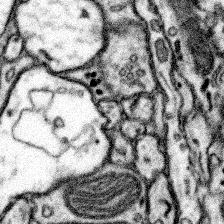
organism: Mouse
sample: Somatosensory cortex neuropil